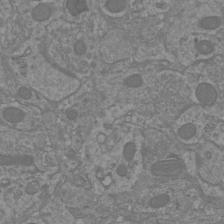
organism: Mouse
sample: Cortical neurons